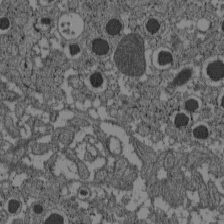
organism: C57BL Mouse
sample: Pancreatic islet